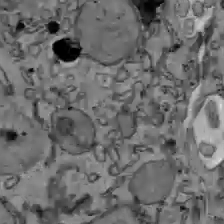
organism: C57BL Mouse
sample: Liver